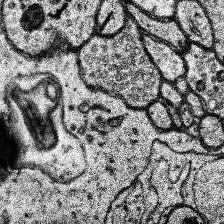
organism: Human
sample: Temporal Lobe